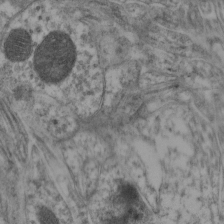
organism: Mouse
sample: Neocortex